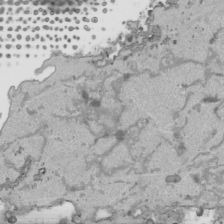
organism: Human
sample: Mitochondria in HCT116 cells